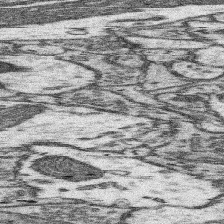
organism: Mouse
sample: Somatosensory cortex neuropil